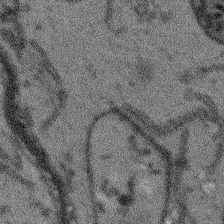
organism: Arabidopsis thaliana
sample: Root tip